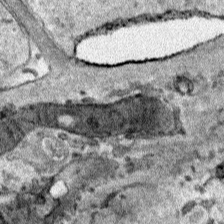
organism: Human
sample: Mitochondria in HCT116 cells